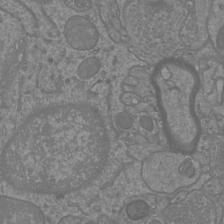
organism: Mouse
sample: Cortical neurons